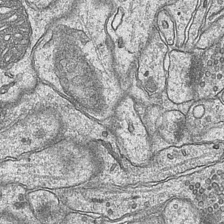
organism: Mouse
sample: CA1 Hippocampus